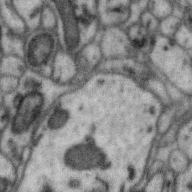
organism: Zebra finch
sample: Brain